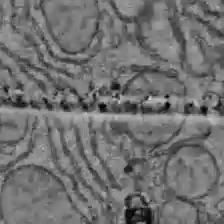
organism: C57BL Mouse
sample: Liver